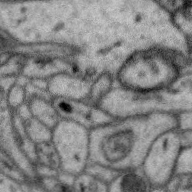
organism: Zebra finch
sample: Brain